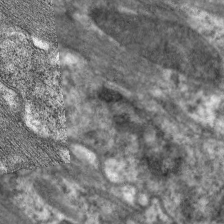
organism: C. elegans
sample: Pharynx